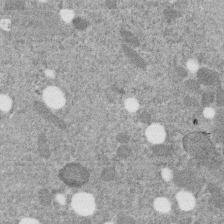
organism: C. elegans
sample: C. elegans embryo early stage